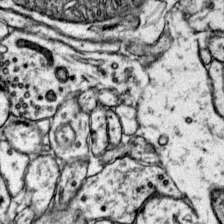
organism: Mouse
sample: Primary visual cortex